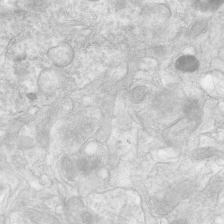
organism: Human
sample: Neocortex